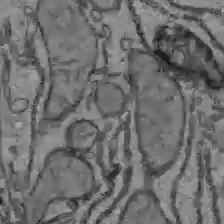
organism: C57BL Mouse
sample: Liver